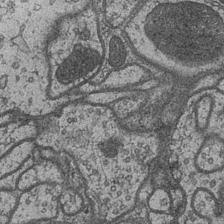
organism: Drosophila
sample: Optic medulla